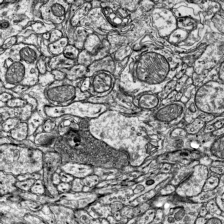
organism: Mouse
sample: Visual Cortex